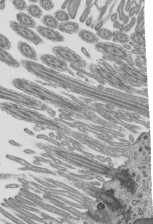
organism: Mouse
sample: Mouse epididymis efferent ductule cilia